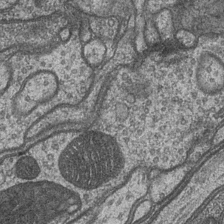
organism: Drosophila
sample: Optic medulla